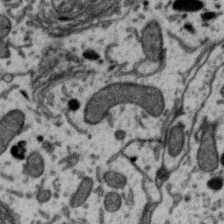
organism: Zebra finch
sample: Brain